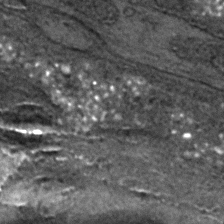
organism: C. elegans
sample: C. elegans embryo